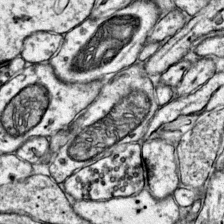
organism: Mouse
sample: Primary visual cortex